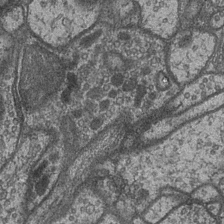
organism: Drosophila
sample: Optic medulla